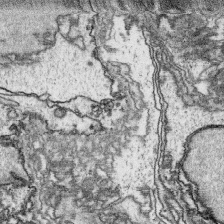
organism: Platynereis dumerilii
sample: Parapodia